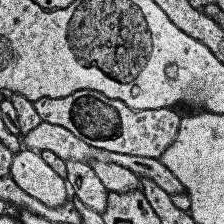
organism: Human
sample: Temporal Lobe